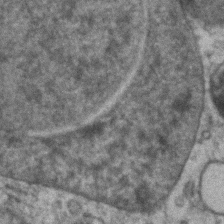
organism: Zebrafish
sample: Zebrafish embryo